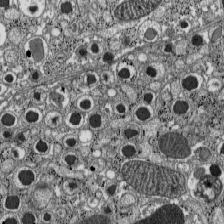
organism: C57BL Mouse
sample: Pancreatic islet